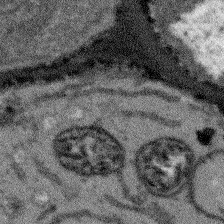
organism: Arabidopsis thaliana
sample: Root tip